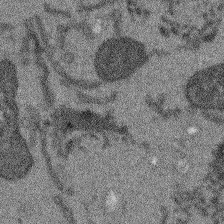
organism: Arabidopsis thaliana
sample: Root tip